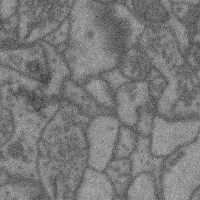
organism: Mouse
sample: Cerebral cortex